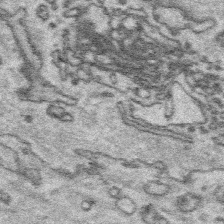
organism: Platynereis dumerilii